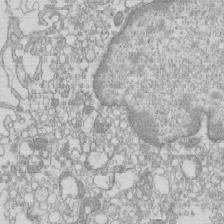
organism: Mouse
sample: Macrophages